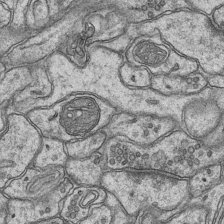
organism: Mouse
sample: CA1 Hippocampus